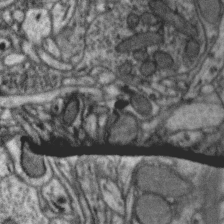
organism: Zebra finch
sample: Brain